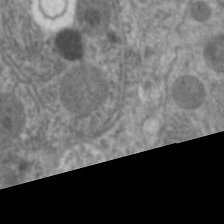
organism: C. elegans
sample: Pharynx